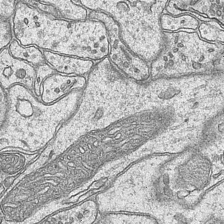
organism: Mouse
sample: CA1 Hippocampus